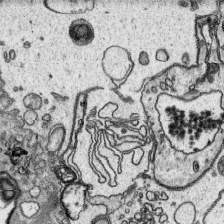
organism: Platynereis dumerilii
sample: Parapodia